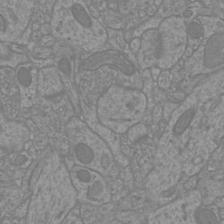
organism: Mouse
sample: Cortical neurons